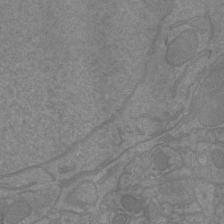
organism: Mouse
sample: Cortical neurons